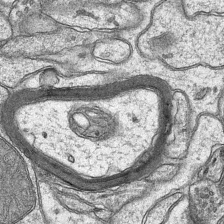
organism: Mouse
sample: CA1 Hippocampus